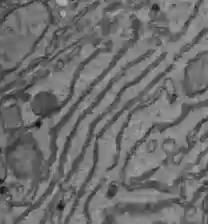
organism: C57BL Mouse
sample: Liver